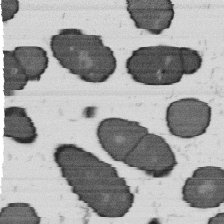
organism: B. subtilis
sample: Bacterial spore